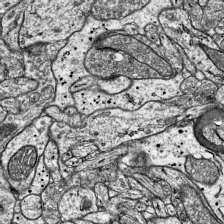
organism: Mouse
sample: Visual Cortex